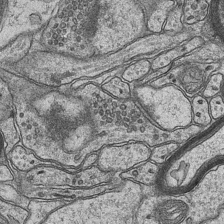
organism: Mouse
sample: CA1 Hippocampus